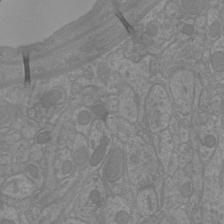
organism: Mouse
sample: Cortical neurons